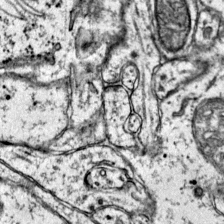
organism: Mouse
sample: Primary visual cortex